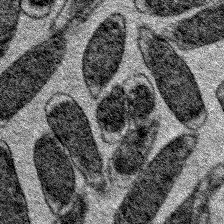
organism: E. coli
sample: E. Coli Bacteria